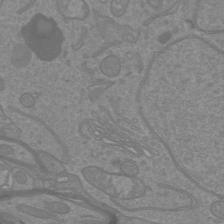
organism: Mouse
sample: Cortical neurons